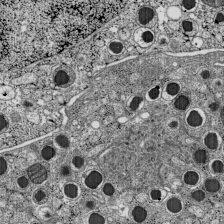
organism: C57BL Mouse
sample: Pancreatic islet